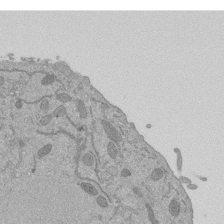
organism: Mouse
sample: ED-1 cell nuclei; centrioles